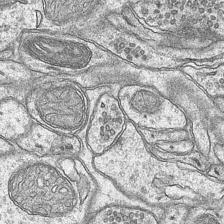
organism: Mouse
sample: CA1 Hippocampus